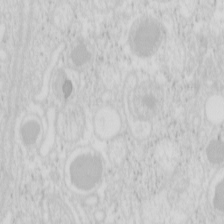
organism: Mouse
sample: Pancreas